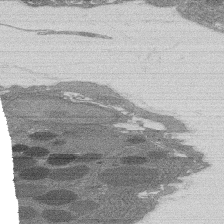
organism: Rat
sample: Salivary granule